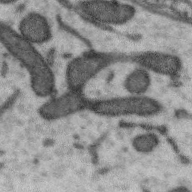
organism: Zebra finch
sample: Brain